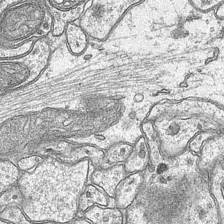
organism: Mouse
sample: CA1 Hippocampus